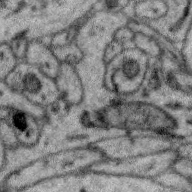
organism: Zebra finch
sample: Brain